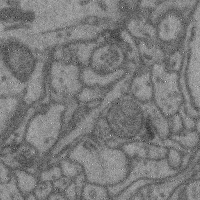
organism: Mouse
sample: Cerebral cortex